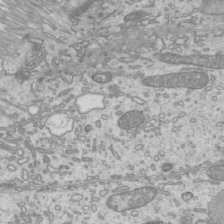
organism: Mouse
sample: Cilia; mouse epididymis